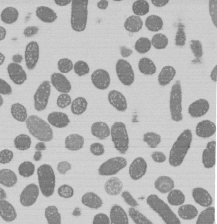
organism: E. coli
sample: Bacterial nucleoid